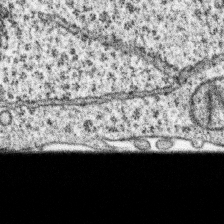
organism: Human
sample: HeLa cells